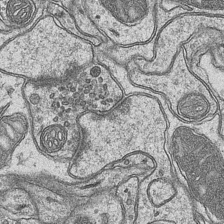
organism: Mouse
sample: CA1 Hippocampus